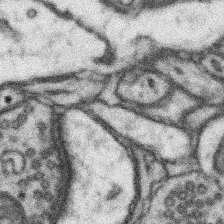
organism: Mouse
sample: Somatosensory cortex neuropil